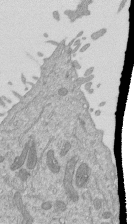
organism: Mouse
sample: ED-1 cell nuclei; centrioles